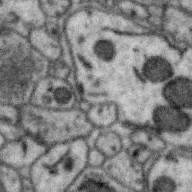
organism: Zebra finch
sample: Brain